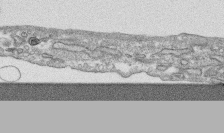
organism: Human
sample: CRL-1474